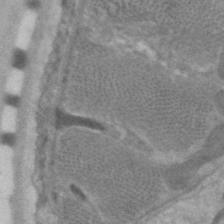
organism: C. elegans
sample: Pharynx